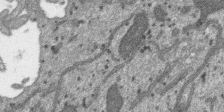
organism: Human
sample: Lung epithelial cells infected with SARS-CoV-2